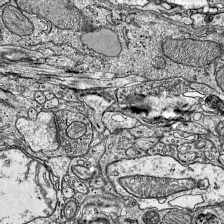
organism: Mouse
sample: Visual Cortex